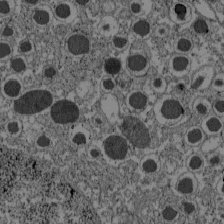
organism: C57BL Mouse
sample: Pancreatic islet